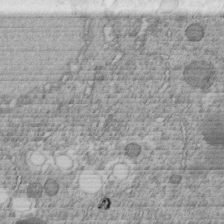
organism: C. elegans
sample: C. elegans embryo early stage